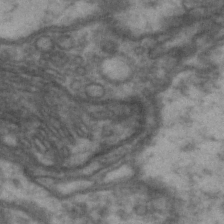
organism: Drosophila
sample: Brain